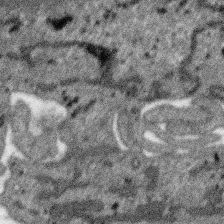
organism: Human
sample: Lung epithelial cells infected with SARS-CoV-2